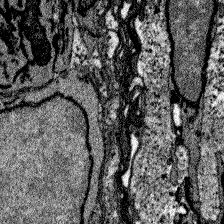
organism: Zebrafish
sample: Larval olfactory bulb